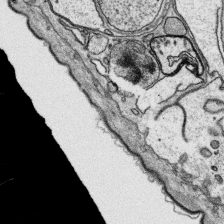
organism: Platynereis dumerilii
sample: Parapodia